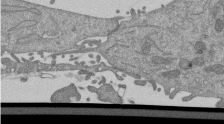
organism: Mouse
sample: ED-1 cell nuclei; centrioles